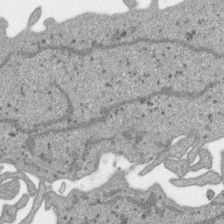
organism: Human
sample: Lung epithelial cells infected with SARS-CoV-2